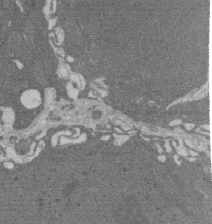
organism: Rat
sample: Salivary granule